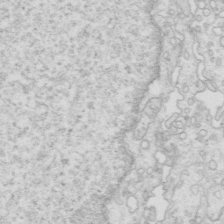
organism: Mouse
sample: Multiciliated cells